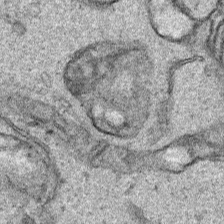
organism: Human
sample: Mitochondria in HCT116 cells